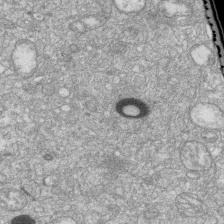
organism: Human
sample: HeLa cell HIV synapse